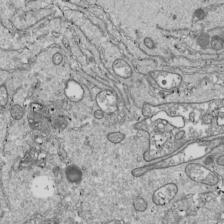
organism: Drosophila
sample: Cell division; meiosis; drosophila spermatocytes